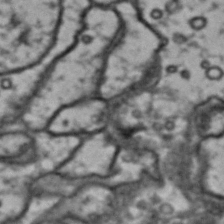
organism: Drosophila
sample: Brain